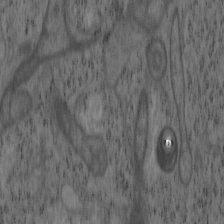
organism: Human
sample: HeLa cells